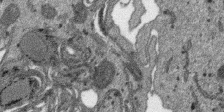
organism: Human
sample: Lung epithelial cells infected with SARS-CoV-2